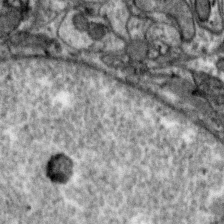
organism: Zebra finch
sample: Brain